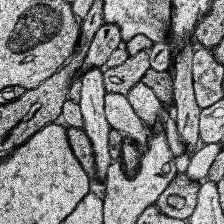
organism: Human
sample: Temporal Lobe